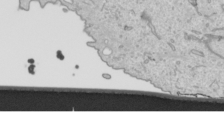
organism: Human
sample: Mitochondria in HCT116 cells